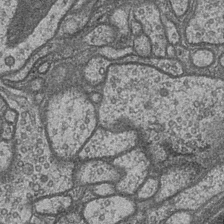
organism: Drosophila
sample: Optic medulla